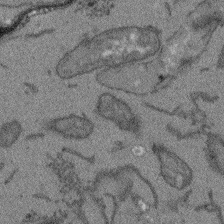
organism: Arabidopsis thaliana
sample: Root tip